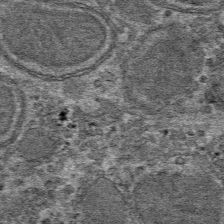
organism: Mouse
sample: Mouse hepatocytes